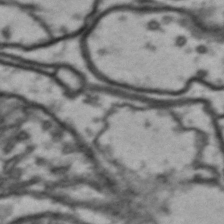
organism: Drosophila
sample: Brain